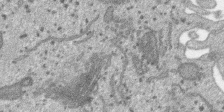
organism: Human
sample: Lung epithelial cells infected with SARS-CoV-2